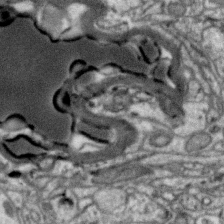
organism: Zebra finch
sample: Brain